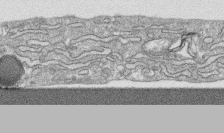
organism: Human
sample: CRL-1474